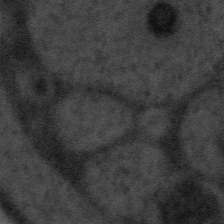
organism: Tuwongella immobilis